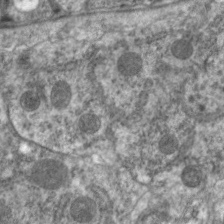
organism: C. elegans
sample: Pharynx